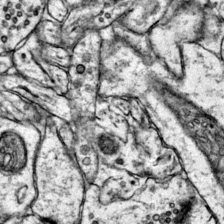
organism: Mouse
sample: Primary visual cortex